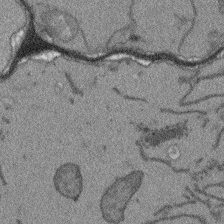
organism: Arabidopsis thaliana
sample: Root tip